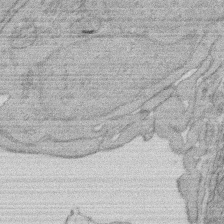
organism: Rat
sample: Salivary granule